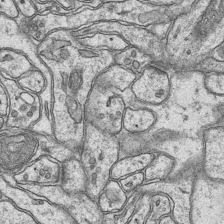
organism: Mouse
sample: CA1 Hippocampus